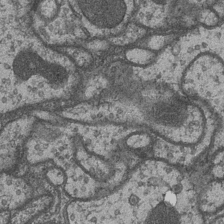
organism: Drosophila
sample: Optic medulla